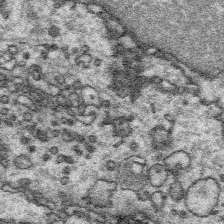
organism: Platynereis dumerilii